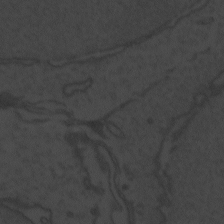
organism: Zebrafish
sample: Macrophage infected with Toxoplasma gondii